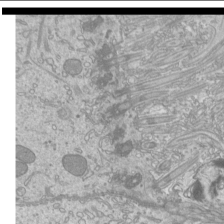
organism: Mouse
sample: Cilia; mouse epididymis